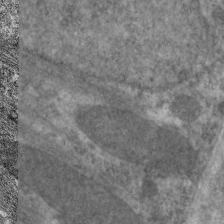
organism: C. elegans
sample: Pharynx